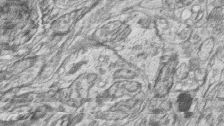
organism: Zebrafish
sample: synaptic ribbons in rod cells and cone cells